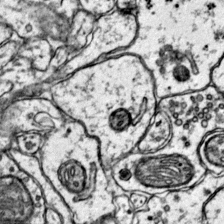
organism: Mouse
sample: Primary visual cortex